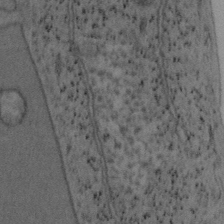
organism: Human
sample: HeLa cells